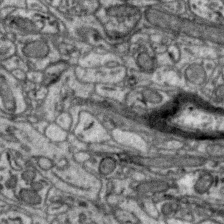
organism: Zebra finch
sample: Brain